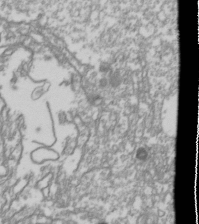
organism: Drosophila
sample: Cell division; meiosis; drosophila spermatocytes